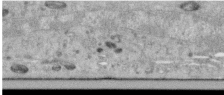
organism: Human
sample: Centriole in RPE cells